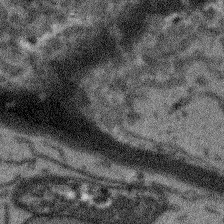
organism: Arabidopsis thaliana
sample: Root tip